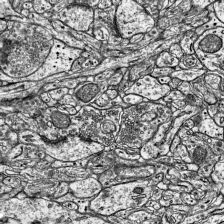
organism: Mouse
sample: Visual Cortex